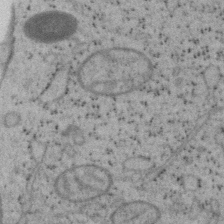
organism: Human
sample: HeLa cells